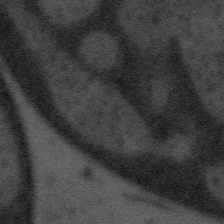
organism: Tuwongella immobilis